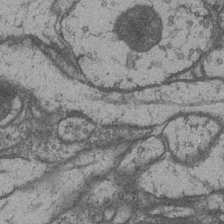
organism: Drosophila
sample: Optic medulla